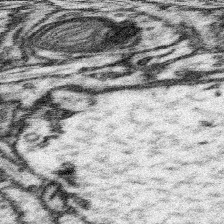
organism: Mouse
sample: Somatosensory cortex neuropil